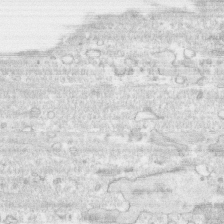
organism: Human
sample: CRL-1474